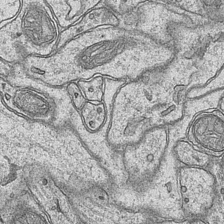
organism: Mouse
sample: CA1 Hippocampus